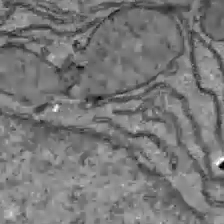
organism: C57BL Mouse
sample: Liver